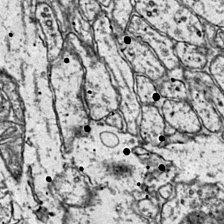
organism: Mouse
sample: Primary visual cortex